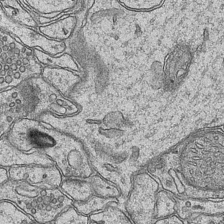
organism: Mouse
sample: CA1 Hippocampus